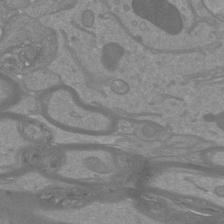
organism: Mouse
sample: Cortical neurons